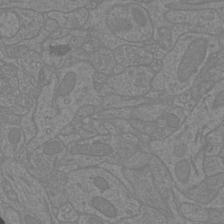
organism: Mouse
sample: Cortical neurons